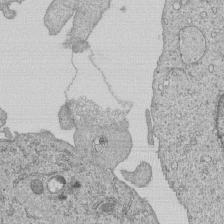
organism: Human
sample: MDA-MB-231 cells